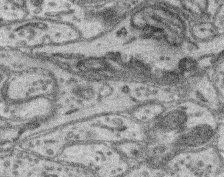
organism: Mouse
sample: Retina